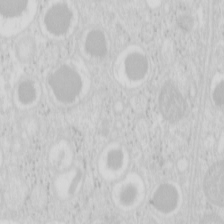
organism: Mouse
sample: Pancreas